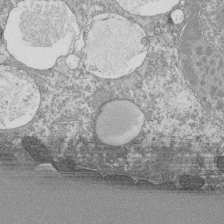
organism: Tetrahymena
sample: Cilia in tetrahymena